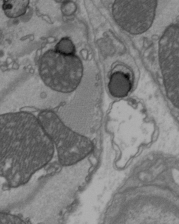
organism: C57BL Mouse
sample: Heart